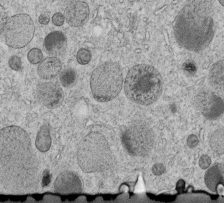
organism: C. elegans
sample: C. elegans embryo early stage